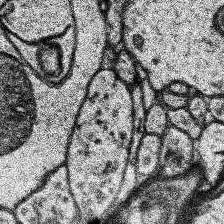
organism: Human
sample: Temporal Lobe